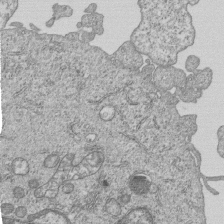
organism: Human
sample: MDA-MB-231 cells